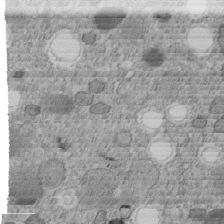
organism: C. elegans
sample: C. elegans embryo early stage